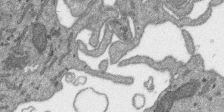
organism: Human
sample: Lung epithelial cells infected with SARS-CoV-2